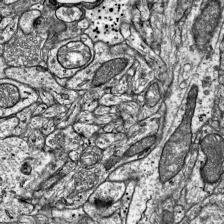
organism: Mouse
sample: Visual Cortex